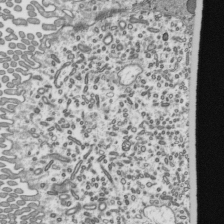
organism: Mouse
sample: Mouse epididymis efferent ductule cilia